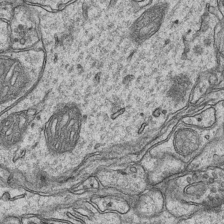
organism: Mouse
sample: CA1 Hippocampus